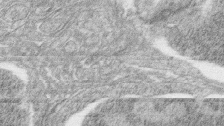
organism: Zebrafish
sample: synaptic ribbons in rod cells and cone cells